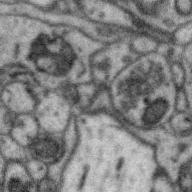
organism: Zebra finch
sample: Brain